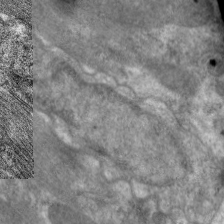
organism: C. elegans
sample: Pharynx